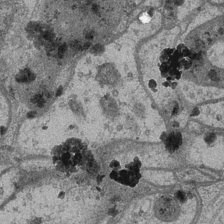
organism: Drosophila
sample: Optic medulla